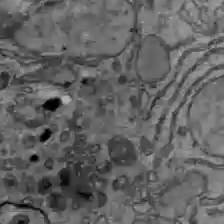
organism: C57BL Mouse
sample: Liver